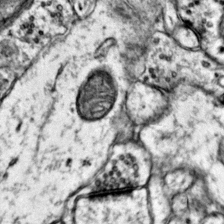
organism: Mouse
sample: Primary visual cortex